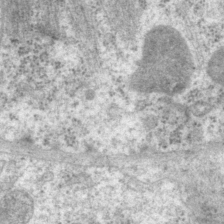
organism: P. pacificus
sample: Pharynx